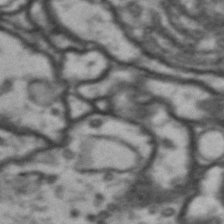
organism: Drosophila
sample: Brain